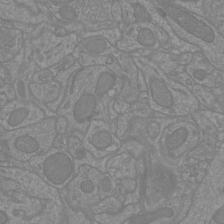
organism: Mouse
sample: Cortical neurons